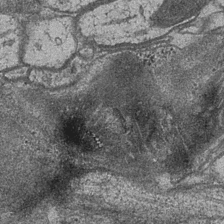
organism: Drosophila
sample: Optic medulla